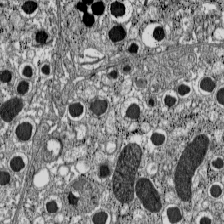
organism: C57BL Mouse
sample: Pancreatic islet